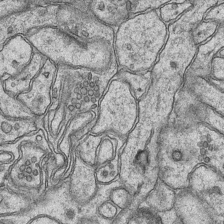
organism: Mouse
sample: CA1 Hippocampus